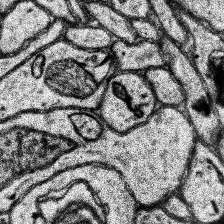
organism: Human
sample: Temporal Lobe